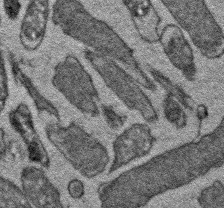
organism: E. coli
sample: E. Coli Bacteria